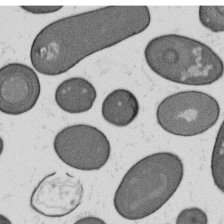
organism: B. subtilis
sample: Bacterial spore